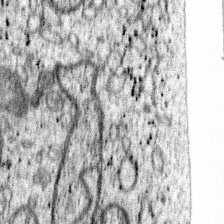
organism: Human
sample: HeLa cells